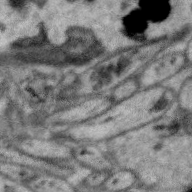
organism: Zebra finch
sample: Brain